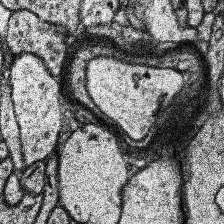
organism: Human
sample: Temporal Lobe